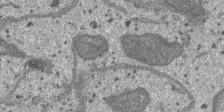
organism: Human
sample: Lung epithelial cells infected with SARS-CoV-2